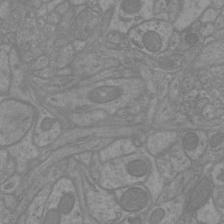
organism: Mouse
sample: Cortical neurons